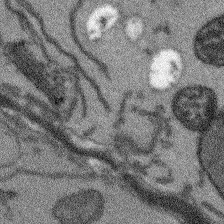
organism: Arabidopsis thaliana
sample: Root tip